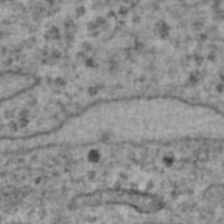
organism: Human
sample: Blood